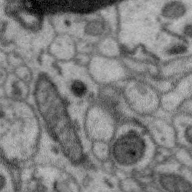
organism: Zebra finch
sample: Brain